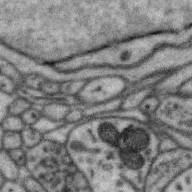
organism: Zebra finch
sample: Brain